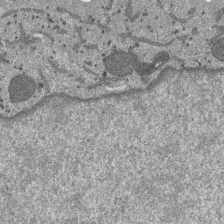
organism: Human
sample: Lung epithelial cells infected with SARS-CoV-2